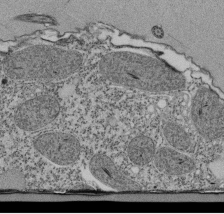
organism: Tetrahymena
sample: Cilia in tetrahymena